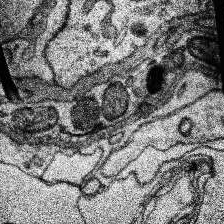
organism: Human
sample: Temporal Lobe